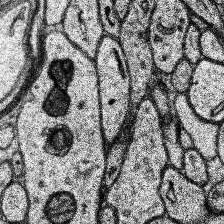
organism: Human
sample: Temporal Lobe